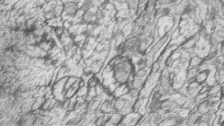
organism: Zebrafish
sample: synaptic ribbons in rod cells and cone cells